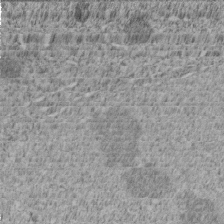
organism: C. elegans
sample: C. elegans embryo early stage